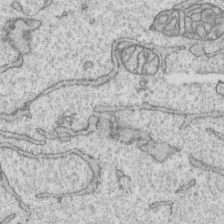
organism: Human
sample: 1205lu cells